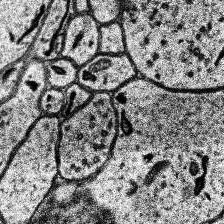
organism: Human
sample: Temporal Lobe